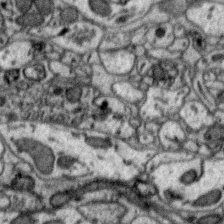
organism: Zebra finch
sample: Brain